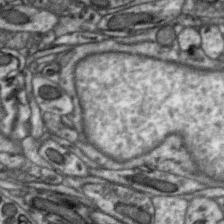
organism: Zebra finch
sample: Brain